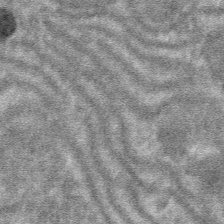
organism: Mouse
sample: Mouse hepatocytes